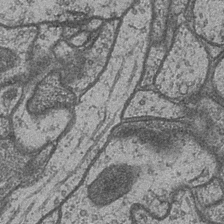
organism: Drosophila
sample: Optic medulla